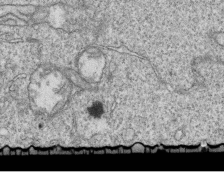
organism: Human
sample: HeLa cell HIV synapse